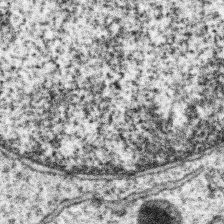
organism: Human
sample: HeLa cells